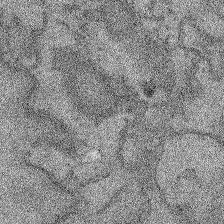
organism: Human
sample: HeLa cells